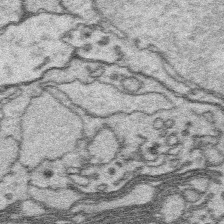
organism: Platynereis dumerilii